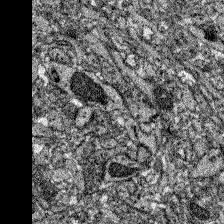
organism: Zebrafish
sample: Larval olfactory bulb